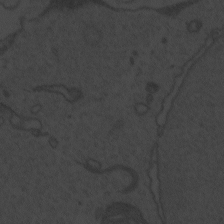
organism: Zebrafish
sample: Macrophage infected with Toxoplasma gondii